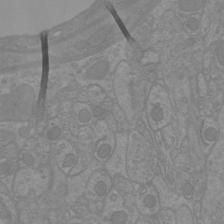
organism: Mouse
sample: Cortical neurons